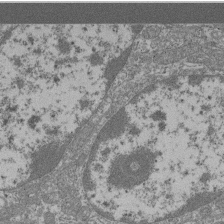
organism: Mouse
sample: Glomerulus